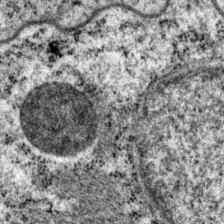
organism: P. pacificus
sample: Pharynx